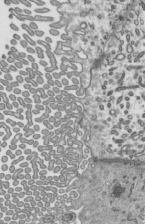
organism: Mouse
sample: Mouse epididymis efferent ductule cilia